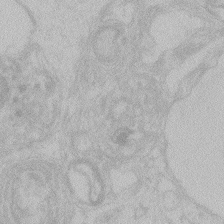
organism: Zebrafish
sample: Macrophage infected with Toxoplasma gondii